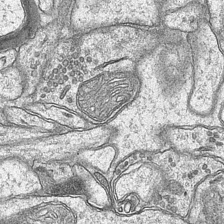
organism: Mouse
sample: CA1 Hippocampus